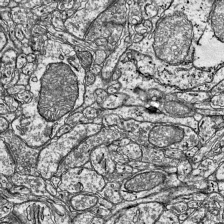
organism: Mouse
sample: Visual Cortex